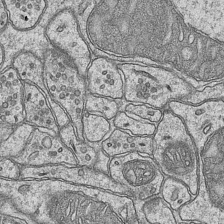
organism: Mouse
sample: CA1 Hippocampus